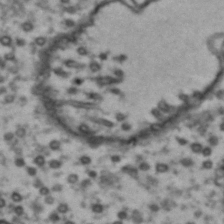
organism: Drosophila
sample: Brain